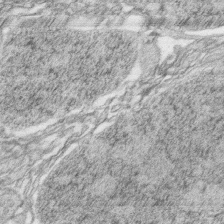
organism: Zebrafish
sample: synaptic ribbons in rod cells and cone cells